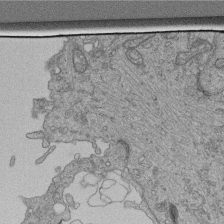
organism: Human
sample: Retinal organoid Rod and Cone cells